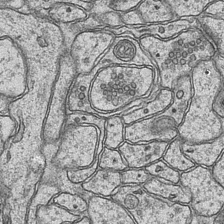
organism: Mouse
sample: CA1 Hippocampus